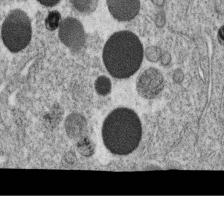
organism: C. elegans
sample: C. elegans oocyte; sperm cells